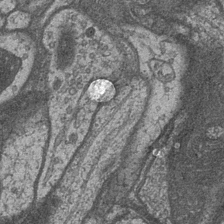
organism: Drosophila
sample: Optic medulla